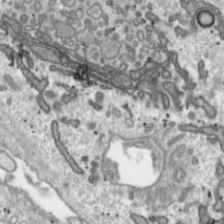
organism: Toxoplasma gondii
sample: Parasites in a vacuole inside a host cell